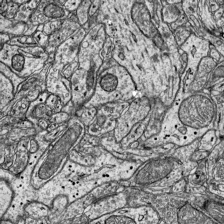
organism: Mouse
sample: Visual Cortex